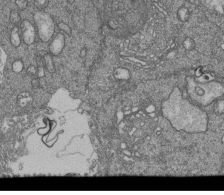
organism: Human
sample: Retinal organoid Rod and Cone cells